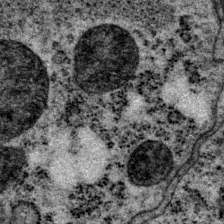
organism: P. pacificus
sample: Pharynx